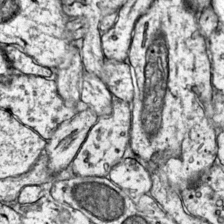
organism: Mouse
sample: Primary visual cortex